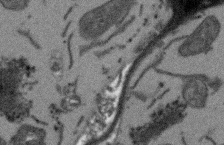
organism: Arabidopsis thaliana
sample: Root tip